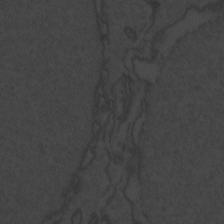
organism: Zebrafish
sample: Macrophage infected with Toxoplasma gondii